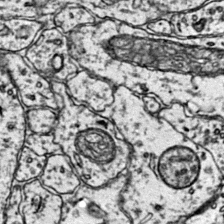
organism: Mouse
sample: Primary visual cortex